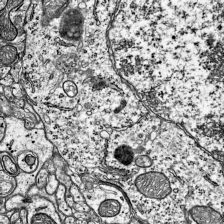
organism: Mouse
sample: Visual Cortex